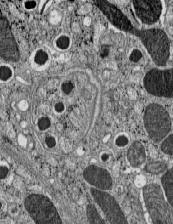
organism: C57BL Mouse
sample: Pancreatic islet